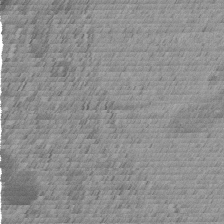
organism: C. elegans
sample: C. elegans embryo early stage